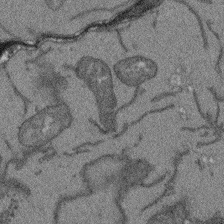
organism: Arabidopsis thaliana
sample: Root tip